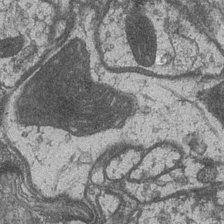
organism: Drosophila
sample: Optic medulla